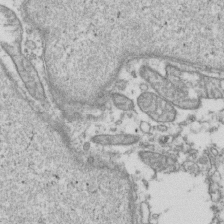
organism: Human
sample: Activated Jurkat CD4+ T cells